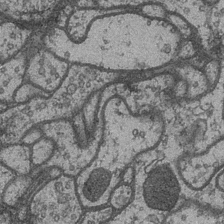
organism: Drosophila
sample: Optic medulla